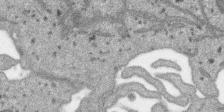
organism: Human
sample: Lung epithelial cells infected with SARS-CoV-2